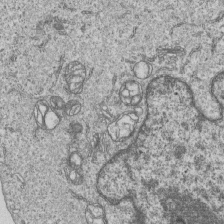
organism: Human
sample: MDA-MB-231 cells